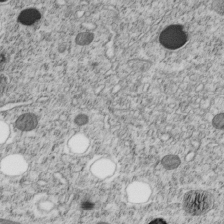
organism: C. elegans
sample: C. elegans embryo early stage